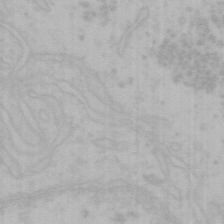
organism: Mouse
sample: Choroid plexus